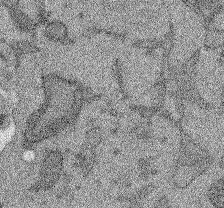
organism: Human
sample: HeLa cells